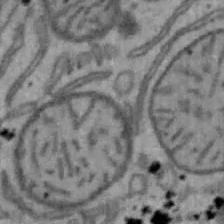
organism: Mouse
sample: Liver